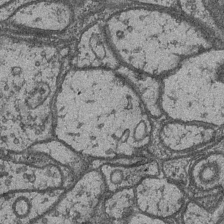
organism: Drosophila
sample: Optic medulla